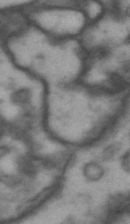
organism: Drosophila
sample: Brain